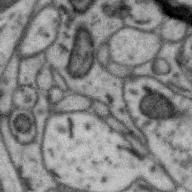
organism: Zebra finch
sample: Brain